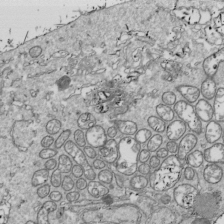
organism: Drosophila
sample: Cell division; meiosis; drosophila spermatocytes